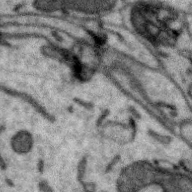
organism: Zebra finch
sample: Brain